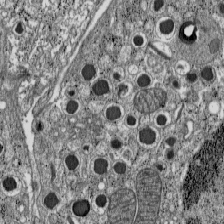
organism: C57BL Mouse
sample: Pancreatic islet